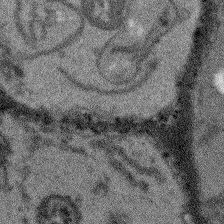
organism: Arabidopsis thaliana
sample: Root tip